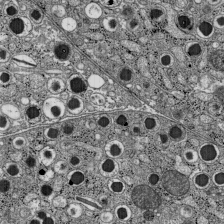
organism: C57BL Mouse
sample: Pancreatic islet